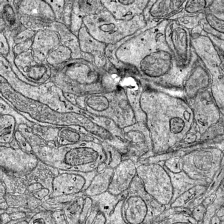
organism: Mouse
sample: Visual Cortex